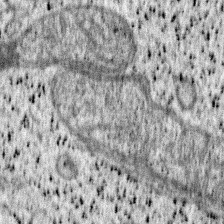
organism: Human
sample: HeLa cells